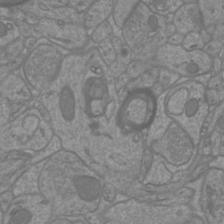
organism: Mouse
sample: Cortical neurons